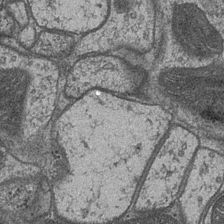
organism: Drosophila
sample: Optic medulla